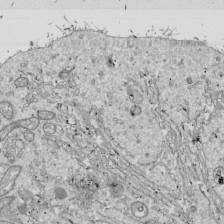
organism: Drosophila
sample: Cell division; meiosis; drosophila spermatocytes